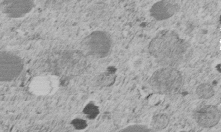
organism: C. elegans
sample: C. elegans embryo early stage